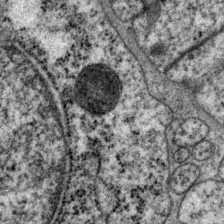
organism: P. pacificus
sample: Pharynx